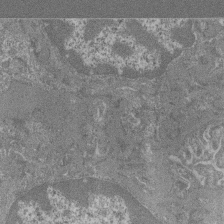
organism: Mouse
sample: Glomerulus